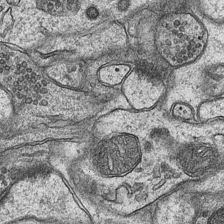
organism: Mouse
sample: CA1 Hippocampus